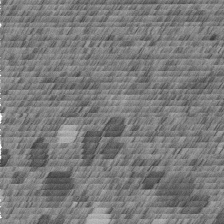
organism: C. elegans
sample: C. elegans embryo early stage